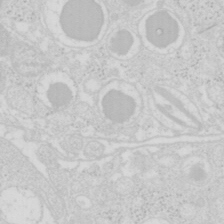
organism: Mouse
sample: Pancreas